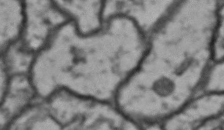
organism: Drosophila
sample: Brain